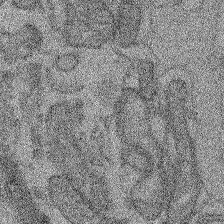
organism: Human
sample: HeLa cells